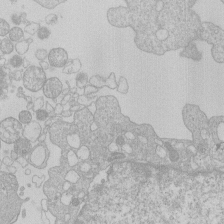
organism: Human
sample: Macrophage cells